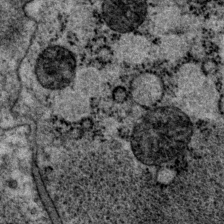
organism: P. pacificus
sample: Pharynx